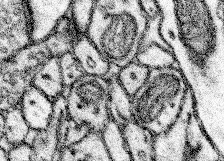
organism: Mouse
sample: Somatosensory cortex neuropil